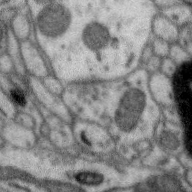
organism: Zebra finch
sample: Brain